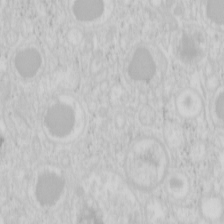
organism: Mouse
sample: Pancreas